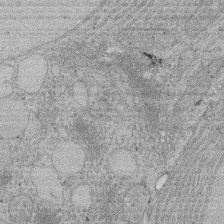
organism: Rat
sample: Salivary granule